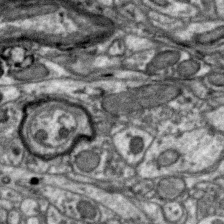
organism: Zebra finch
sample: Brain